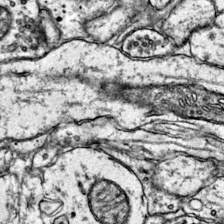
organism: Mouse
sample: Primary visual cortex